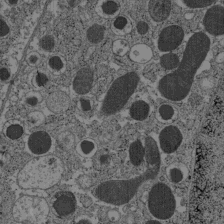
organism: C57BL Mouse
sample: Pancreatic islet